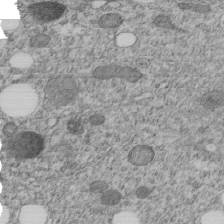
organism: C. elegans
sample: C. elegans embryo early stage